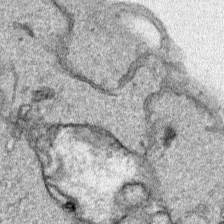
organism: Human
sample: Mitochondria in HCT116 cells